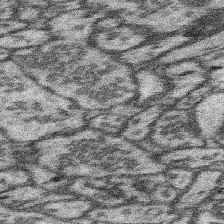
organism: Mouse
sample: Somatosensory cortex neuropil